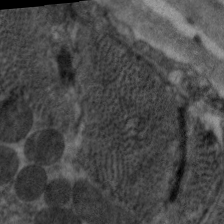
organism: C. elegans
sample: Pharynx